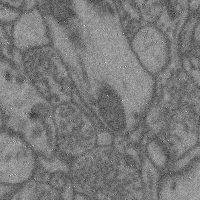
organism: Mouse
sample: Cerebral cortex